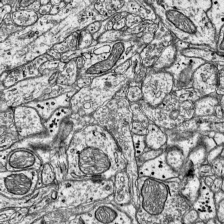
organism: Mouse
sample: Visual Cortex